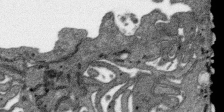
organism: Human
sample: Lung epithelial cells, uninfected (mock) control